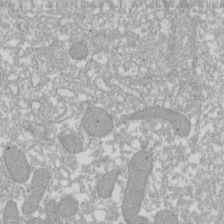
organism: Xenopus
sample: Cilia; centrioles in frog embryo cells